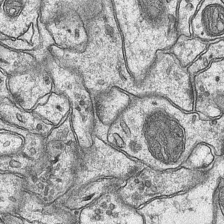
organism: Mouse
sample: CA1 Hippocampus